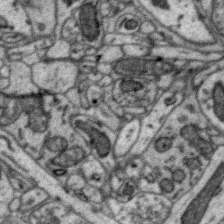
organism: Zebra finch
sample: Brain